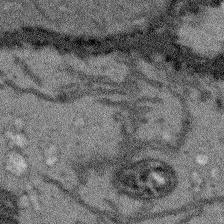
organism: Arabidopsis thaliana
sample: Root tip